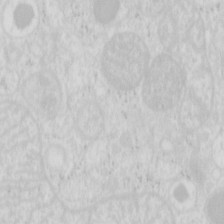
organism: Mouse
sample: Pancreas